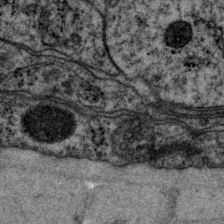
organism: P. pacificus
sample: Pharynx